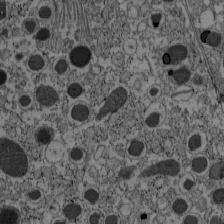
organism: C57BL Mouse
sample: Pancreatic islet